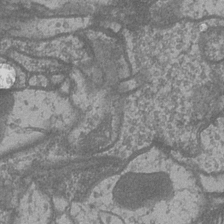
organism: Drosophila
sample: Optic medulla